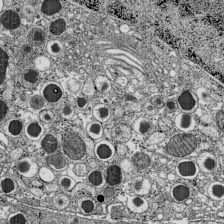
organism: C57BL Mouse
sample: Pancreatic islet